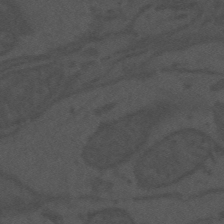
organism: Mouse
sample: Suprachiasmatic nucleus